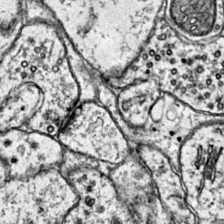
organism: Mouse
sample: Primary visual cortex